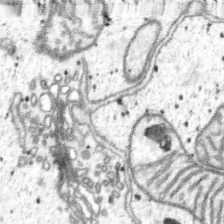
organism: Human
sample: HeLa cells